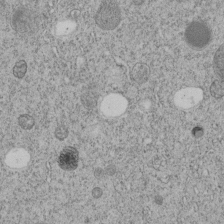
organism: C. elegans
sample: C. elegans embryo early stage